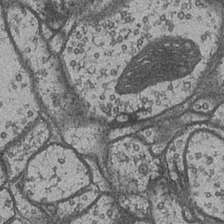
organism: Drosophila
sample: Optic medulla